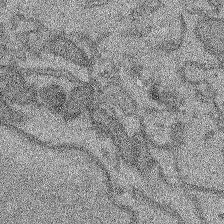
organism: Human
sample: HeLa cells